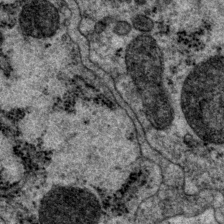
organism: P. pacificus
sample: Pharynx